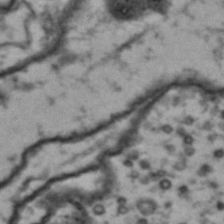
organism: Drosophila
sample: Brain